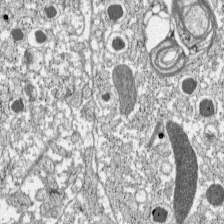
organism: C57BL Mouse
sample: Pancreatic islet